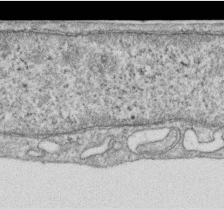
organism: Human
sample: Centriole in RPE cells